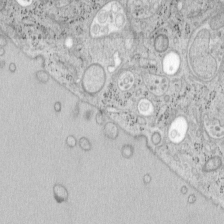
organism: Mouse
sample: OT-I killer T cells with ID8 ovarian cancer cells